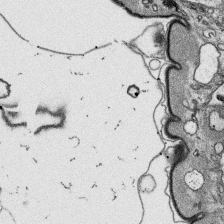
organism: Platynereis dumerilii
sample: Parapodia